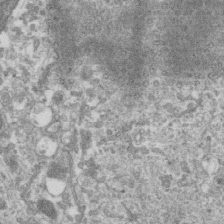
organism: Human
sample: Centriole in RPE cells